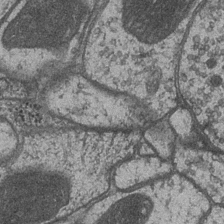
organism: Drosophila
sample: Optic medulla